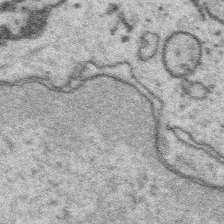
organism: Platynereis dumerilii